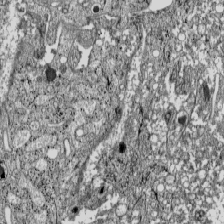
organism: C57BL Mouse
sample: Pancreatic islet